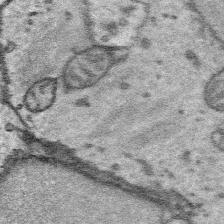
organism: Platynereis dumerilii